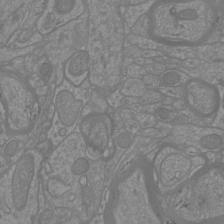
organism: Mouse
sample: Cortical neurons